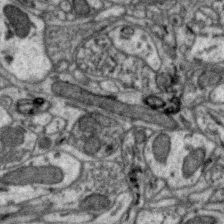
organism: Zebra finch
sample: Brain